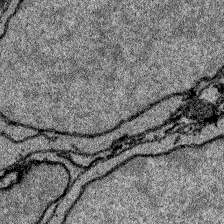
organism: Zebrafish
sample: Larval olfactory bulb